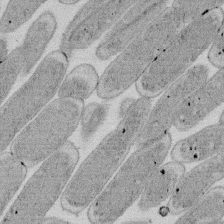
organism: E. coli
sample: Bacterial nucleoid